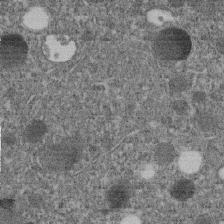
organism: C. elegans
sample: C. elegans embryo early stage